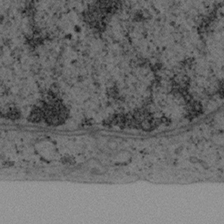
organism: Human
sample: HeLa cells